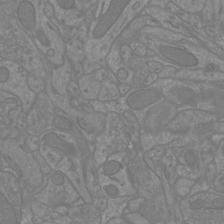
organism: Mouse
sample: Cortical neurons